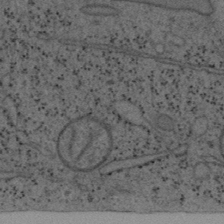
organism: Human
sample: HeLa cells